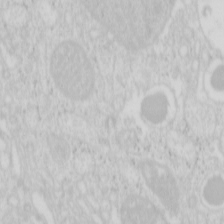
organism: Mouse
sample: Pancreas